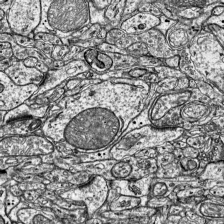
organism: Mouse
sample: Visual Cortex